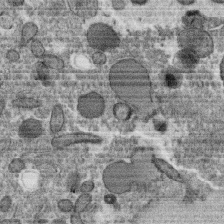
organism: C. elegans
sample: C. elegans oocyte; sperm cells